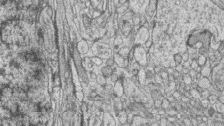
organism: Zebrafish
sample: synaptic ribbons in rod cells and cone cells